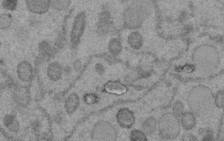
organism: C. elegans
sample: C. elegans embryo early stage